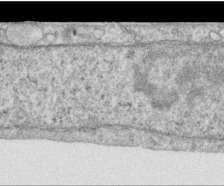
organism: Human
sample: Centriole in RPE cells